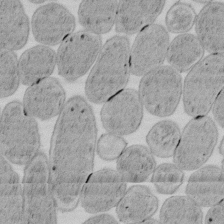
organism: E. coli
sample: Bacterial nucleoid